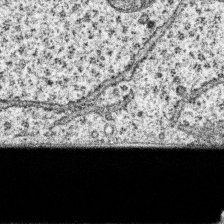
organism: Human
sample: HeLa cells